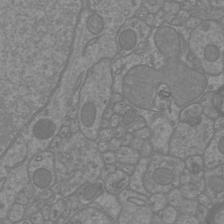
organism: Mouse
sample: Cortical neurons